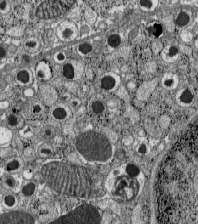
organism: C57BL Mouse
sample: Pancreatic islet